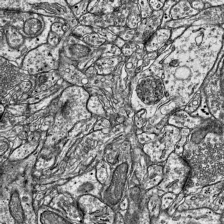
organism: Mouse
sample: Visual Cortex